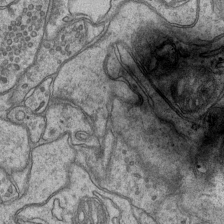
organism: Mouse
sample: CA1 Hippocampus